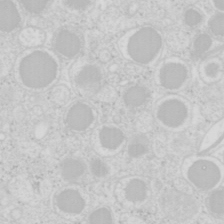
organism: Mouse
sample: Pancreas